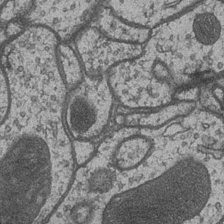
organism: Drosophila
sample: Optic medulla